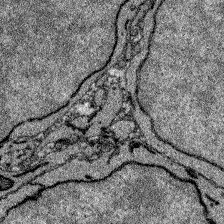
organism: Zebrafish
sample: Larval olfactory bulb